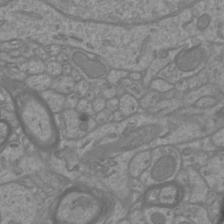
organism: Mouse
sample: Cortical neurons